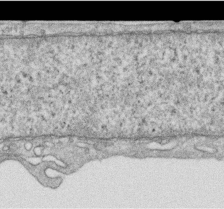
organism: Human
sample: Centriole in RPE cells